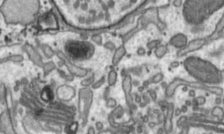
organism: Toxoplasma gondii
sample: Parasites in a vacuole inside a host cell